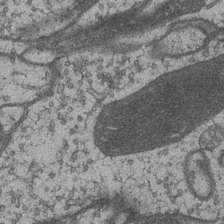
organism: Drosophila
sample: Optic medulla